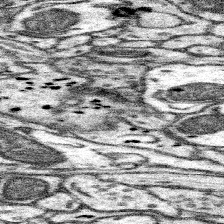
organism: Mouse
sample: Somatosensory cortex neuropil